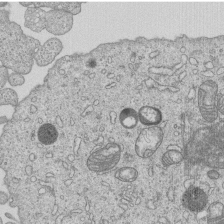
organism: Human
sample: MDA-MB-231 cells